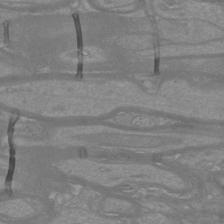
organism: Mouse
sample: Cortical neurons